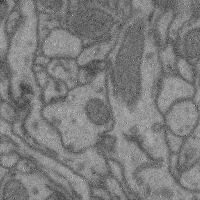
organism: Mouse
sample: Cerebral cortex